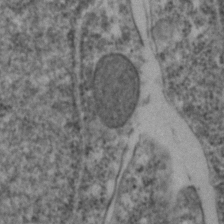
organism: Zebrafish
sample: Zebrafish embryo